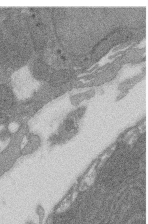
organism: Rat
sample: Salivary granule